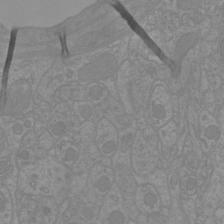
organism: Mouse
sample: Cortical neurons